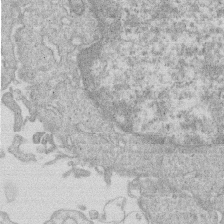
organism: Human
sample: Macrophage cells